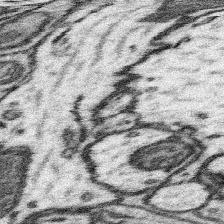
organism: Mouse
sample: Somatosensory cortex neuropil